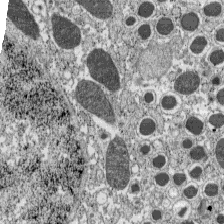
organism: C57BL Mouse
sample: Pancreatic islet